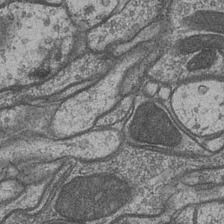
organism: Drosophila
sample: Optic medulla